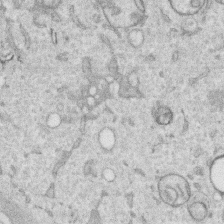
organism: Human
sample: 1205lu cells